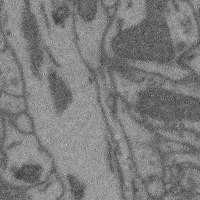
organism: Mouse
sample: Cerebral cortex